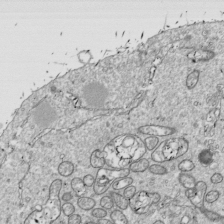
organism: Drosophila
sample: Cell division; meiosis; drosophila spermatocytes